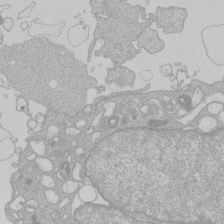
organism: Human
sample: Macrophage cells